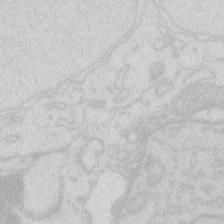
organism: Zebrafish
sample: Macrophage